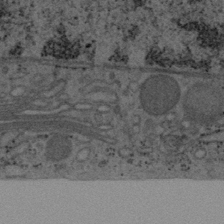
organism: Human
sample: HeLa cells